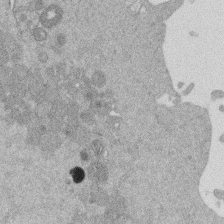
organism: Mouse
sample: Dividing mouse embryo 1 cell stage